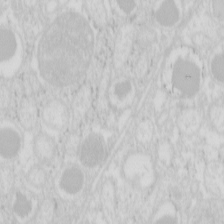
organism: Mouse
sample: Pancreas